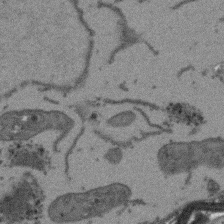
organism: Arabidopsis thaliana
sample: Root tip